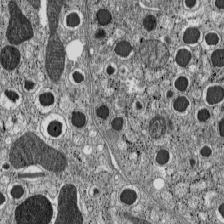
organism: C57BL Mouse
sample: Pancreatic islet